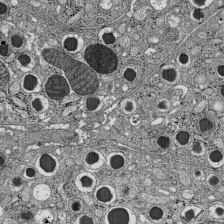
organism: C57BL Mouse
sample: Pancreatic islet